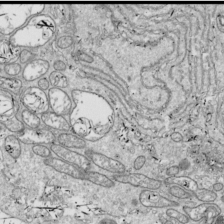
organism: Drosophila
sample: Cell division; meiosis; drosophila spermatocytes